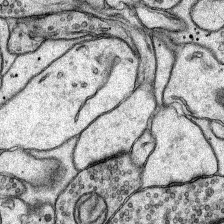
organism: Rat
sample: Hippocampus